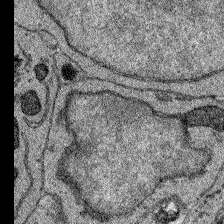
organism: Zebrafish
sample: Larval olfactory bulb